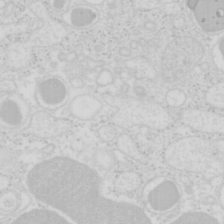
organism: Mouse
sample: Pancreas